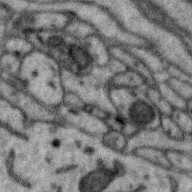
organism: Zebra finch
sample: Brain